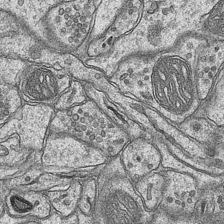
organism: Mouse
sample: CA1 Hippocampus